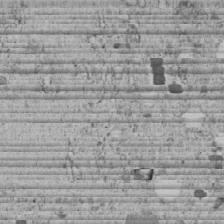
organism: C. elegans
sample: C. elegans embryo early stage